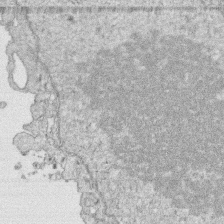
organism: Human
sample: HeLa cell HIV synapse